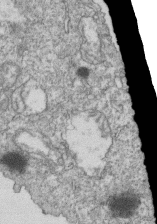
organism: Human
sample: HeLa cell HIV synapse